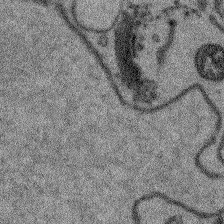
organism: Arabidopsis thaliana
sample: Root tip